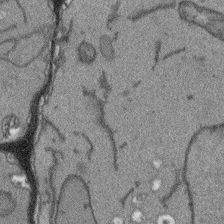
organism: Arabidopsis thaliana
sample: Root tip